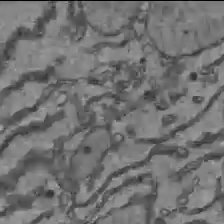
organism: C57BL Mouse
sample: Liver